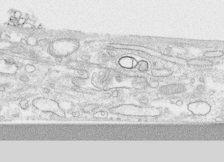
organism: Human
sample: CRL-1474